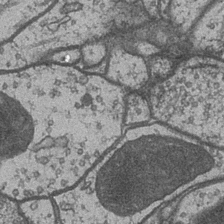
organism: Drosophila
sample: Optic medulla